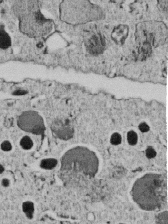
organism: C. elegans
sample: C. elegans embryo early stage